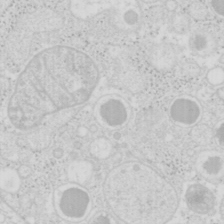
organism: Mouse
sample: Pancreas